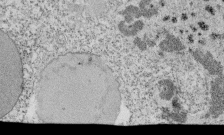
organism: Tetrahymena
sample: Cilia in tetrahymena